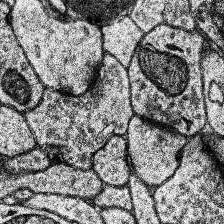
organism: Human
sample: Temporal Lobe